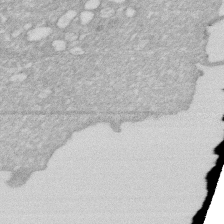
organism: Human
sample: HIV infected U937 cells